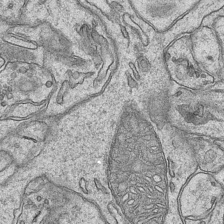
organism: Mouse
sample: CA1 Hippocampus